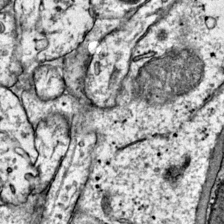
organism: Mouse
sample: Primary visual cortex